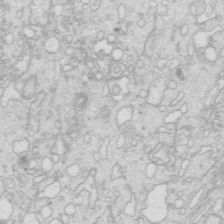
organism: Mouse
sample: Multiciliated cells